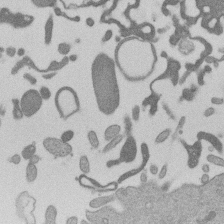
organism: Mouse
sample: Dividing mouse embryo 1 cell stage